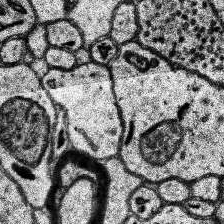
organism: Human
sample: Temporal Lobe